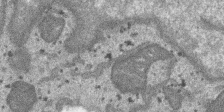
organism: Human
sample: Lung epithelial cells infected with SARS-CoV-2